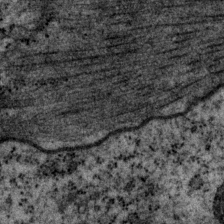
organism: P. pacificus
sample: Pharynx